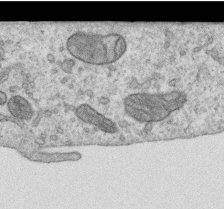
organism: Human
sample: Centriole in RPE cells